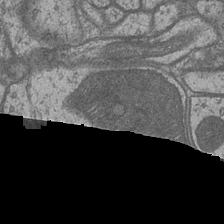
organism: Drosophila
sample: Optic medulla